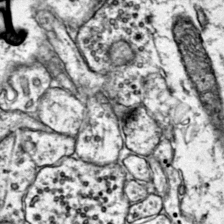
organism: Mouse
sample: Primary visual cortex